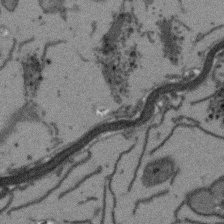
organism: Arabidopsis thaliana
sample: Root tip